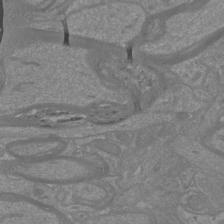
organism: Mouse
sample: Cortical neurons